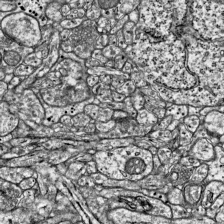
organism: Mouse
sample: Visual Cortex